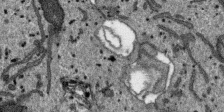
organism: Human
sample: Lung epithelial cells, uninfected (mock) control